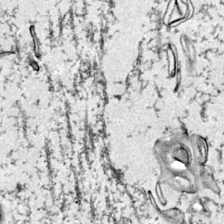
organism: Mouse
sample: Primary visual cortex